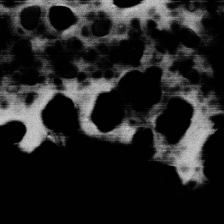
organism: Human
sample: HIV infected U937 cells